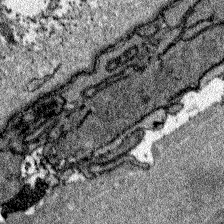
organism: Zebrafish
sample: Larval olfactory bulb